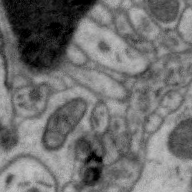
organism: Zebra finch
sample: Brain